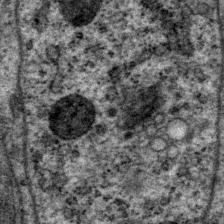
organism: P. pacificus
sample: Pharynx